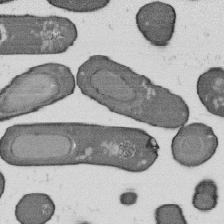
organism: B. subtilis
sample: Bacterial spore